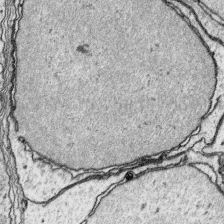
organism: Platynereis dumerilii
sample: Parapodia